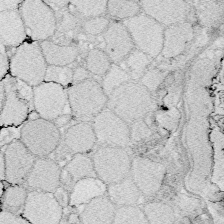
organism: Zebrafish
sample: Whole-Brain